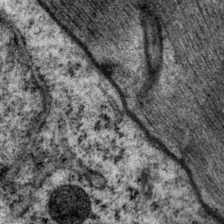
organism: P. pacificus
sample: Pharynx